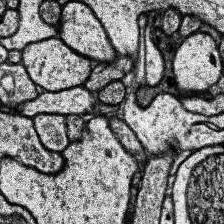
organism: Human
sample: Temporal Lobe